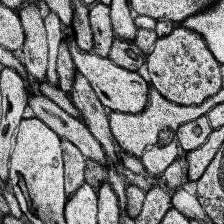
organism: Human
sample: Temporal Lobe